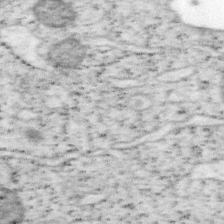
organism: Mouse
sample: OT-I killer T cells with ID8 ovarian cancer cells